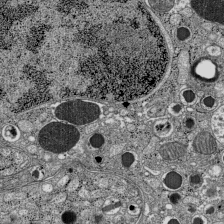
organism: C57BL Mouse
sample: Pancreatic islet